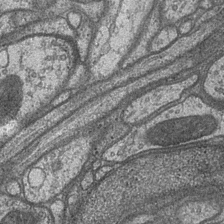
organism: Drosophila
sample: Optic medulla